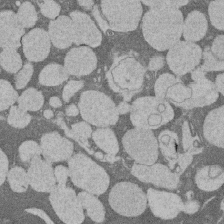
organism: Rat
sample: Salivary granule